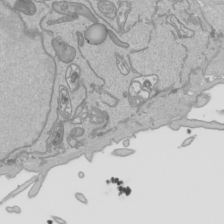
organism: Human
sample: Mitochondria in HCT116 cells